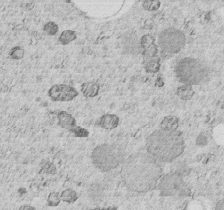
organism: C. elegans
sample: C. elegans embryo early stage